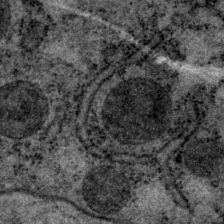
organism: P. pacificus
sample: Pharynx